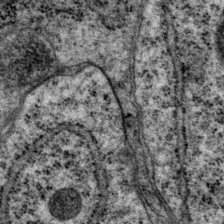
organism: P. pacificus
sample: Pharynx